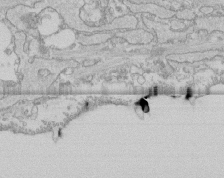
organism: Human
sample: CRL-1474